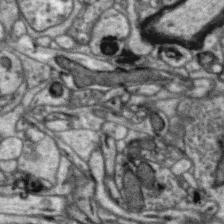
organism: Zebra finch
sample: Brain